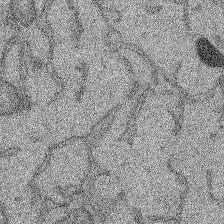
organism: Human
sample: HeLa cells